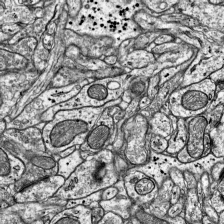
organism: Mouse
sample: Visual Cortex